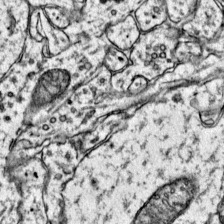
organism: Mouse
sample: Primary visual cortex